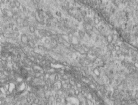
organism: Human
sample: Centriole in RPE cells